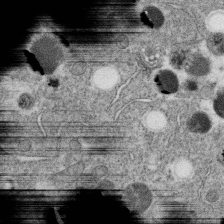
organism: C. elegans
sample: C. elegans oocyte; sperm cells